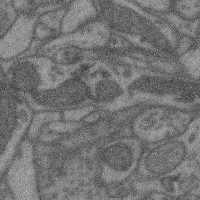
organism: Mouse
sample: Cerebral cortex